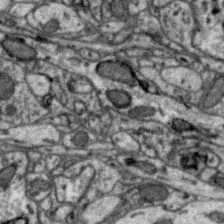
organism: Zebra finch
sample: Brain